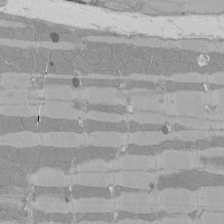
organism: Rat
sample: Left ventricle